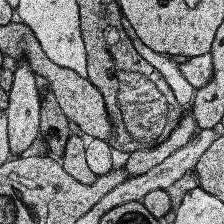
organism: Human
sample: Temporal Lobe